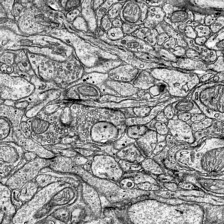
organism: Mouse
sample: Visual Cortex